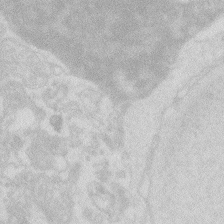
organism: Zebrafish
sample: Macrophage